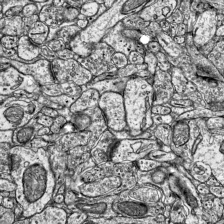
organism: Mouse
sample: Visual Cortex